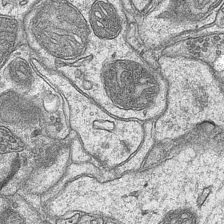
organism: Mouse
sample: CA1 Hippocampus